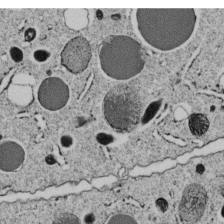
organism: C. elegans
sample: C. elegans embryo early stage